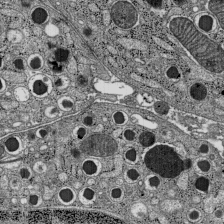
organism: C57BL Mouse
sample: Pancreatic islet